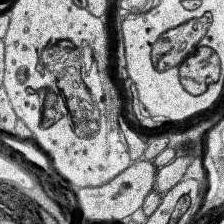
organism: Human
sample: Temporal Lobe